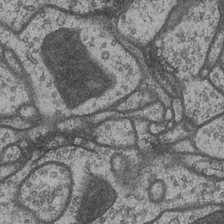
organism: Drosophila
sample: Optic medulla